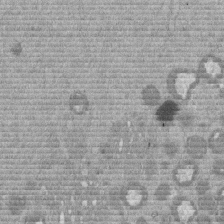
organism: Mouse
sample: Dividing mouse embryo 1 cell stage